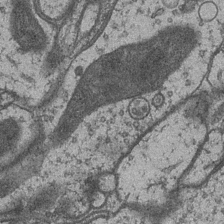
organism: Drosophila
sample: Optic medulla